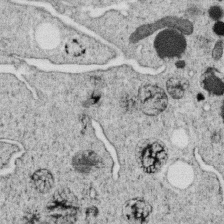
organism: C. elegans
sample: C. elegans oocyte; sperm cells